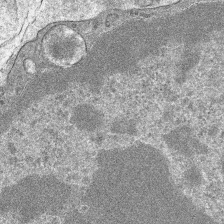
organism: Mouse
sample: Mouse hepatocytes